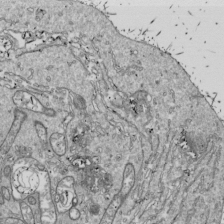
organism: Drosophila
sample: Cell division; meiosis; drosophila spermatocytes